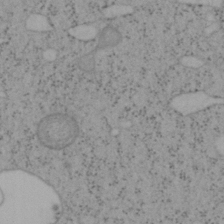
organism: Mouse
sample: OT-I killer T cells with ID8 ovarian cancer cells